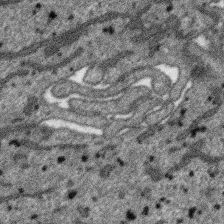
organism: Human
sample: Lung epithelial cells infected with SARS-CoV-2